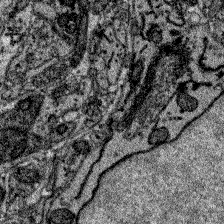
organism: Zebrafish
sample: Larval olfactory bulb